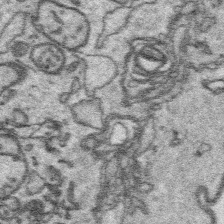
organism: Platynereis dumerilii